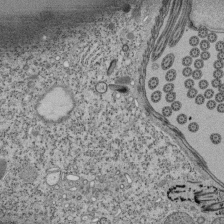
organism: Tetrahymena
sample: Cilia in tetrahymena